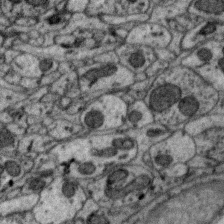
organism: Zebra finch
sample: Brain